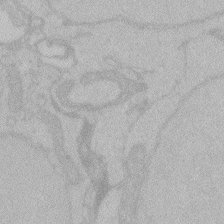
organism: Zebrafish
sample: Macrophage infected with Toxoplasma gondii